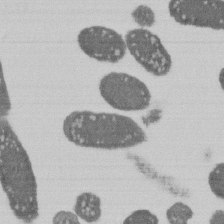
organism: E. coli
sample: Bacterial nucleoid